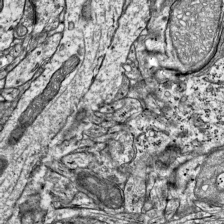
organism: Mouse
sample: Visual Cortex